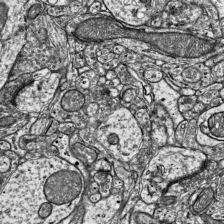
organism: Mouse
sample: Visual Cortex